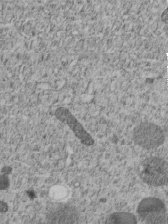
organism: C. elegans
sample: C. elegans embryo early stage